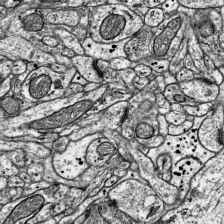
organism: Mouse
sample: Visual Cortex